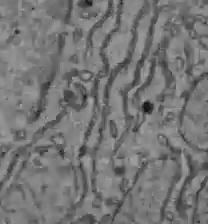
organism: C57BL Mouse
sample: Liver